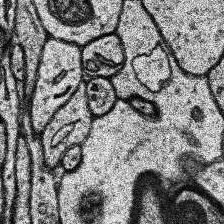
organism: Human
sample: Temporal Lobe